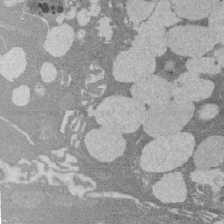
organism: Rat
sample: Salivary granule